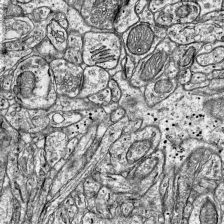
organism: Mouse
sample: Visual Cortex